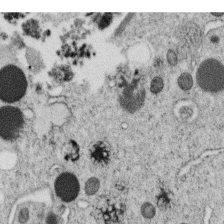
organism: C. elegans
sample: C. elegans oocyte; sperm cells